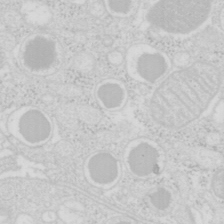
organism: Mouse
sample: Pancreas